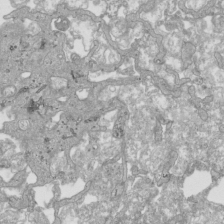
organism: Human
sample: Mitochondria in HCT116 cells